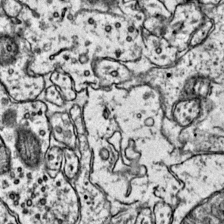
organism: Mouse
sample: Primary visual cortex